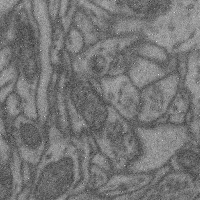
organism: Mouse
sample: Cerebral cortex